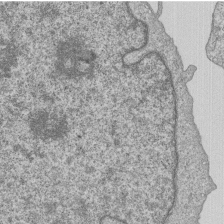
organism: Human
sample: MDA-MB-231 cells